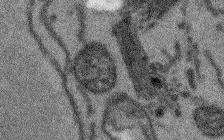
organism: Arabidopsis thaliana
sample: Root tip